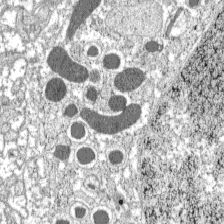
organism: C57BL Mouse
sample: Pancreatic islet